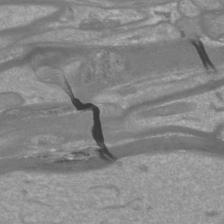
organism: Mouse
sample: Cortical neurons